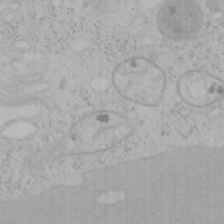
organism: Mouse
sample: OT-I killer T cells with ID8 ovarian cancer cells